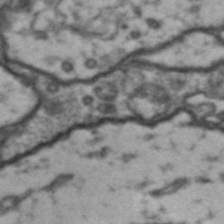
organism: Drosophila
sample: Brain